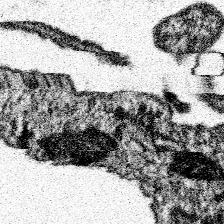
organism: Spongilla lacustris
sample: Neuroid cell